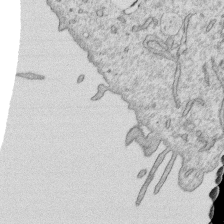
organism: Human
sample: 1205lu cells